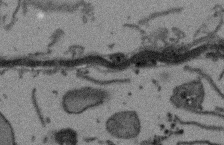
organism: Arabidopsis thaliana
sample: Root tip